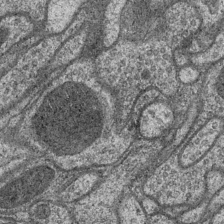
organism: Drosophila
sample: Optic medulla